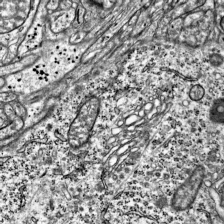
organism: Mouse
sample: Visual Cortex